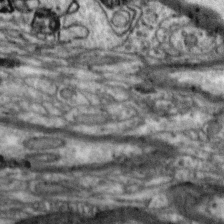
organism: Zebra finch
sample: Brain